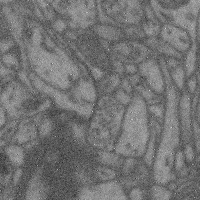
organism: Mouse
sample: Cerebral cortex